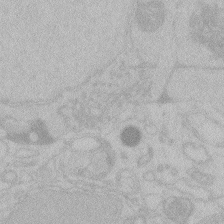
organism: Zebrafish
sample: Macrophage infected with Toxoplasma gondii